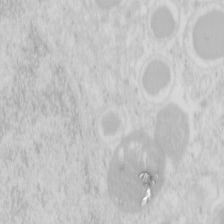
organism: Mouse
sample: Pancreas